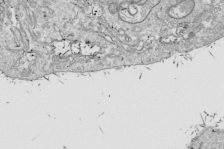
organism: Drosophila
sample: Cell division; meiosis; drosophila spermatocytes